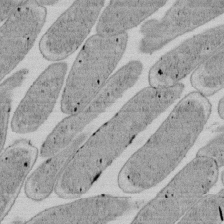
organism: E. coli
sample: Bacterial nucleoid